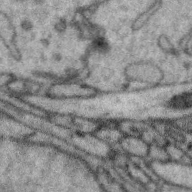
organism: Zebra finch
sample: Brain